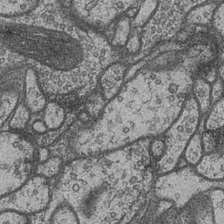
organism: Drosophila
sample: Optic medulla